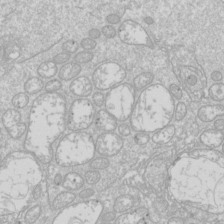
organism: Drosophila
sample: Cell division; meiosis; drosophila spermatocytes